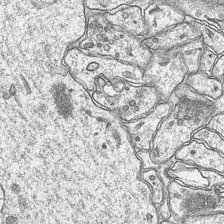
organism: Mouse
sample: CA1 Hippocampus